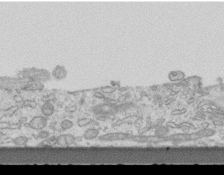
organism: Mouse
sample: Centriole in ependymal cells